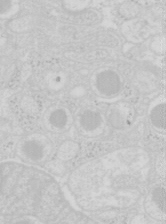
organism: Mouse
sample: Pancreas